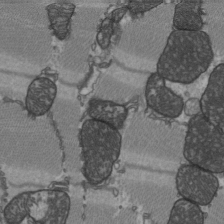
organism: C57BL Mouse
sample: Heart